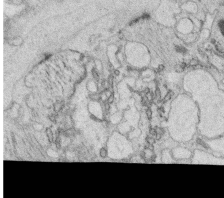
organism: C. elegans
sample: C. elegans oocyte; sperm cells